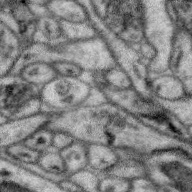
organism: Zebra finch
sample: Brain